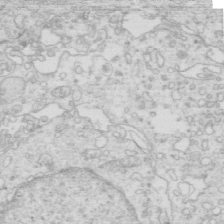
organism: Mouse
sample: Multiciliated cells